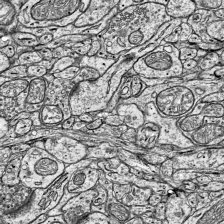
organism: Mouse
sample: Visual Cortex